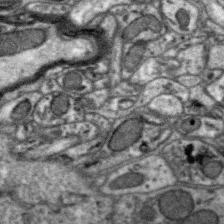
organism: Zebra finch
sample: Brain